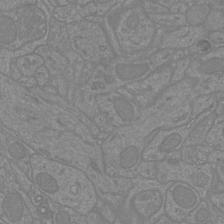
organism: Mouse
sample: Cortical neurons